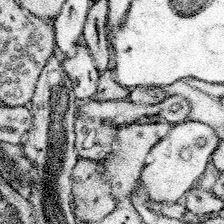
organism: Mouse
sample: Somatosensory cortex neuropil